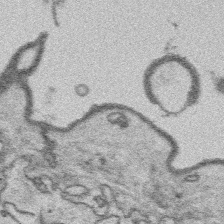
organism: Platynereis dumerilii